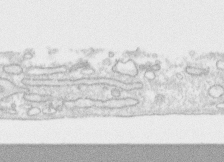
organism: Human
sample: CRL-1474